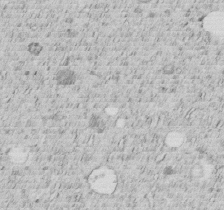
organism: C. elegans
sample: C. elegans embryo early stage